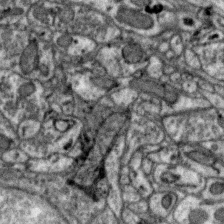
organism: Zebra finch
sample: Brain